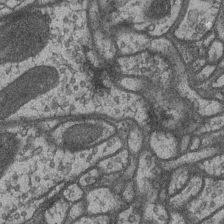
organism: Drosophila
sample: Optic medulla